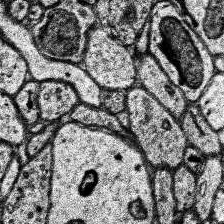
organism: Human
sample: Temporal Lobe